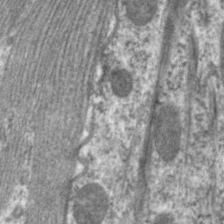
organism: C. elegans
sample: Pharynx